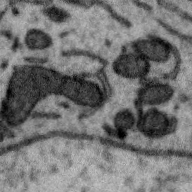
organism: Zebra finch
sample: Brain